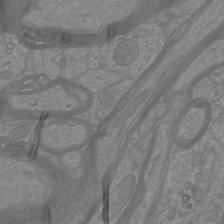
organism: Mouse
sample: Cortical neurons